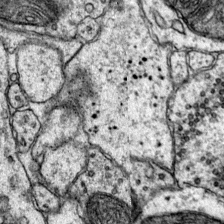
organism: Mouse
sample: Primary visual cortex